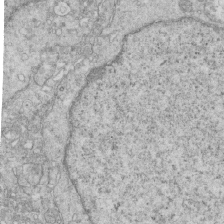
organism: Mouse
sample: Multiciliated cells